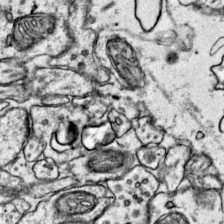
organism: Mouse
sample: Primary visual cortex